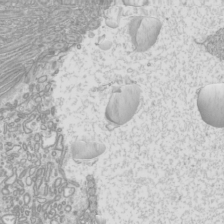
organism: Mouse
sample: Cilia; mouse epididymis